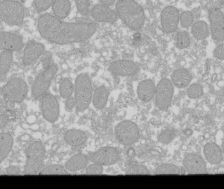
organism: Xenopus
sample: Cilia; centrioles in frog embryo cells